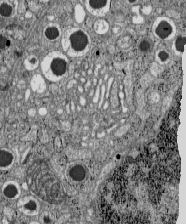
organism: C57BL Mouse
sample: Pancreatic islet